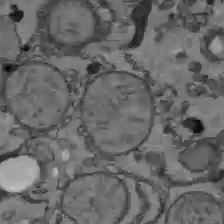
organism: C57BL Mouse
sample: Liver